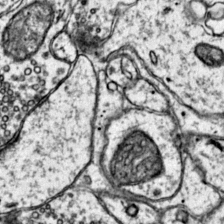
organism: Mouse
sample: Primary visual cortex